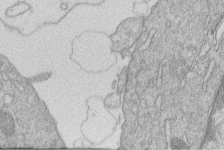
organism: Human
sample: Macrophage cells